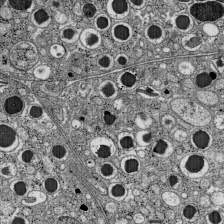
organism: C57BL Mouse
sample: Pancreatic islet